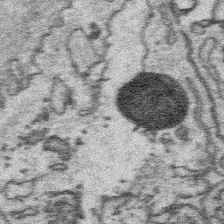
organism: Platynereis dumerilii